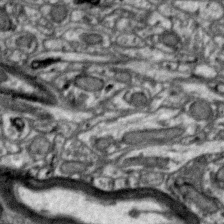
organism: Zebra finch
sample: Brain